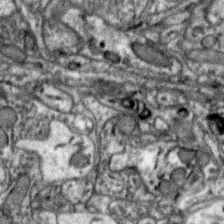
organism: Zebra finch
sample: Brain